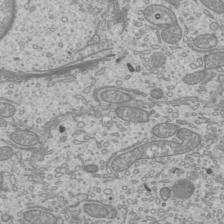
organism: Mouse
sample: Cilia; mouse epididymis